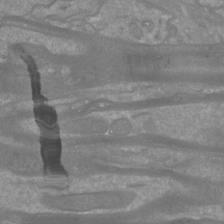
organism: Mouse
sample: Cortical neurons